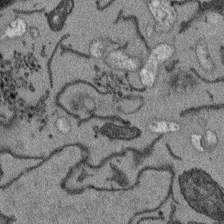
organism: Arabidopsis thaliana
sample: Root tip